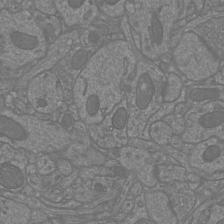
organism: Mouse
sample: Cortical neurons